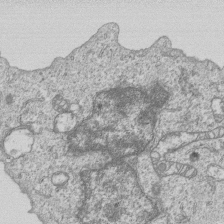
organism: Human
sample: MDA-MB-231 cells